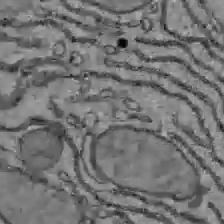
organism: C57BL Mouse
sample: Liver